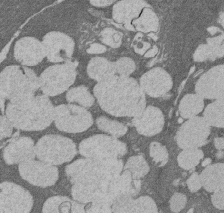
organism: Rat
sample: Salivary granule